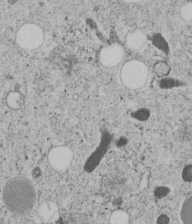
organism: C. elegans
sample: C. elegans embryo early stage